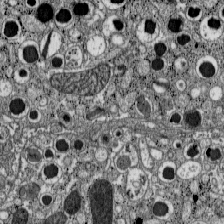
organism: C57BL Mouse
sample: Pancreatic islet